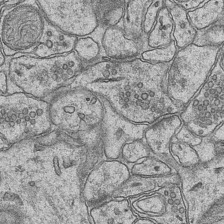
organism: Mouse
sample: CA1 Hippocampus